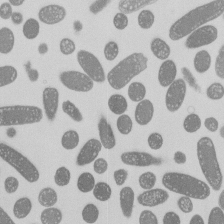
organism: E. coli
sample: Bacterial nucleoid